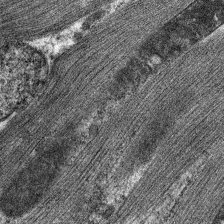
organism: C. elegans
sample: Pharynx